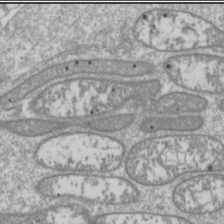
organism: Drosophila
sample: Cell division; meiosis; drosophila spermatocytes